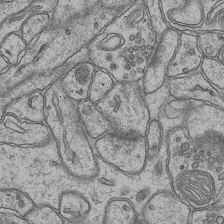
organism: Mouse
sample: CA1 Hippocampus